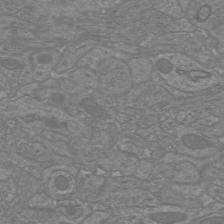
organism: Mouse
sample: Cortical neurons